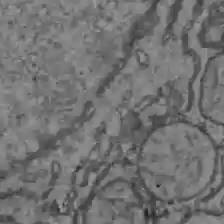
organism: C57BL Mouse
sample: Liver